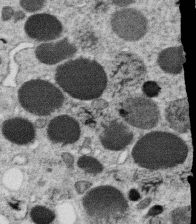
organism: C. elegans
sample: C. elegans oocyte; sperm cells